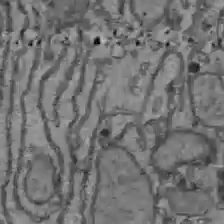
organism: C57BL Mouse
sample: Liver